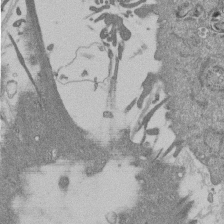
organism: Mouse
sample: ED-1 cell nuclei; centrioles